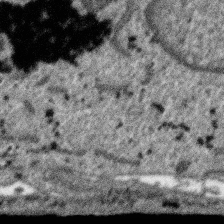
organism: Human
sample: Lung epithelial cells infected with SARS-CoV-2